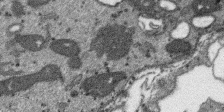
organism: Human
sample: Lung epithelial cells infected with SARS-CoV-2